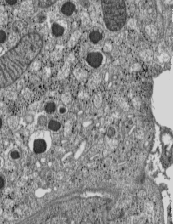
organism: C57BL Mouse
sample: Pancreatic islet